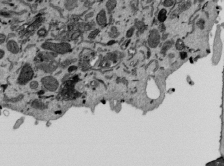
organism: Mouse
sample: ED-1 cell nuclei; centrioles